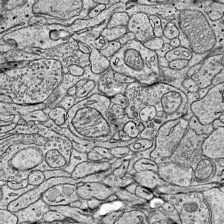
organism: Mouse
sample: Visual Cortex